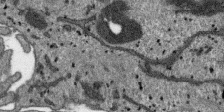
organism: Human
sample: Lung epithelial cells, uninfected (mock) control